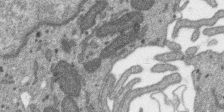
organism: Human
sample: Lung epithelial cells infected with SARS-CoV-2